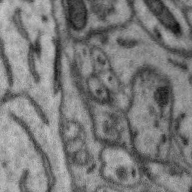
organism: Zebra finch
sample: Brain